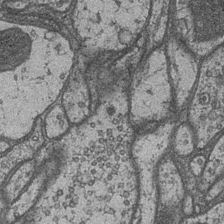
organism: Drosophila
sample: Optic medulla